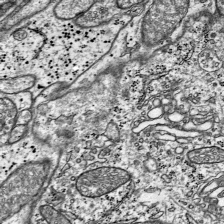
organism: Mouse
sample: Visual Cortex